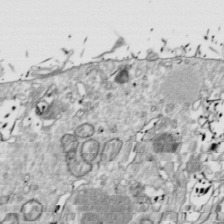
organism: Drosophila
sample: Cell division; meiosis; drosophila spermatocytes